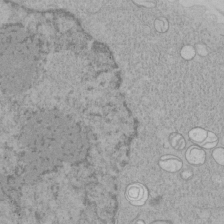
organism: Human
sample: Mitochondria in HCT116 cells